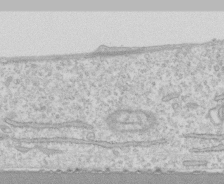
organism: Human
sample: CRL-1474